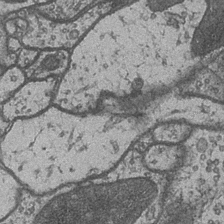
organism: Drosophila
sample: Optic medulla